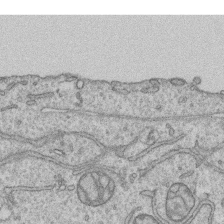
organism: Human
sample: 1205lu cells